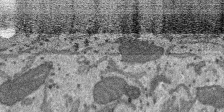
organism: Human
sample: Lung epithelial cells infected with SARS-CoV-2